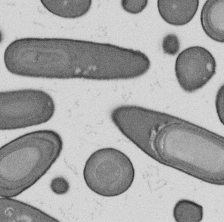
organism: B. subtilis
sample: Bacterial spore